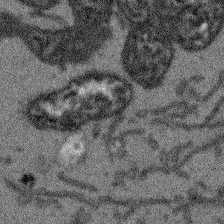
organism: Arabidopsis thaliana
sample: Root tip